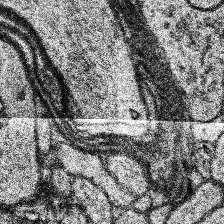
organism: Human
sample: Temporal Lobe